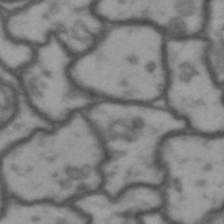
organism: Drosophila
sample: Brain